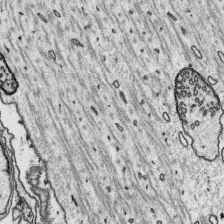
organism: Platynereis dumerilii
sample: Parapodia